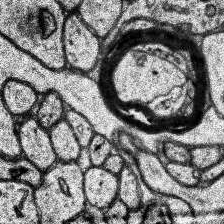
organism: Human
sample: Temporal Lobe